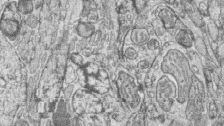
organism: Zebrafish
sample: synaptic ribbons in rod cells and cone cells